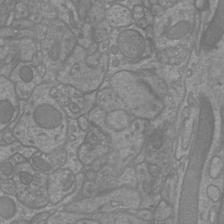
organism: Mouse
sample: Cortical neurons